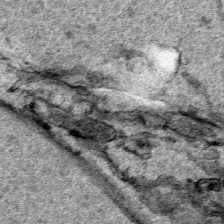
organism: Human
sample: Mitochondria in HCT116 cells